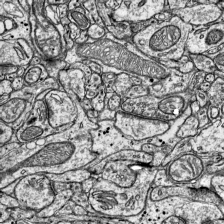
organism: Mouse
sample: Visual Cortex